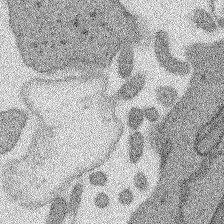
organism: Human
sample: HeLa cells